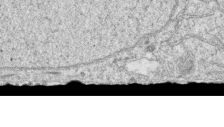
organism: Human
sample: HeLa cell HIV synapse